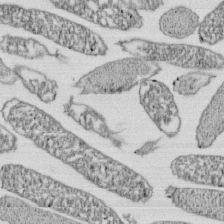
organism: E. coli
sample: Bacterial nucleoid